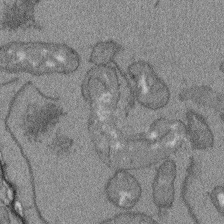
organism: Arabidopsis thaliana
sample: Root tip